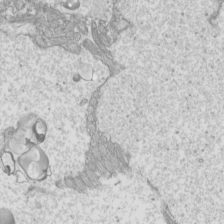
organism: Mouse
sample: Cilia; mouse epididymis